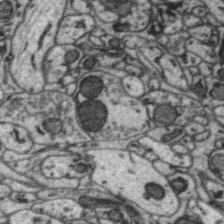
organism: Zebra finch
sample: Brain